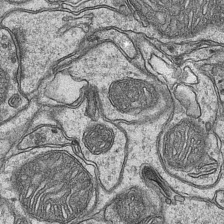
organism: Mouse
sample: CA1 Hippocampus